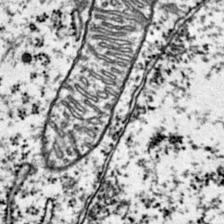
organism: Mouse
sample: Primary visual cortex